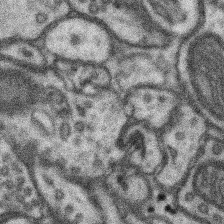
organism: Mouse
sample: Somatosensory cortex neuropil